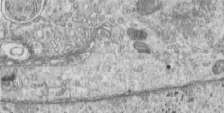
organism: Human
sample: Centriole in RPE cells